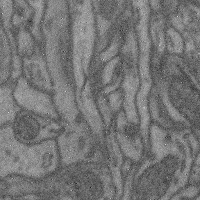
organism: Mouse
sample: Cerebral cortex